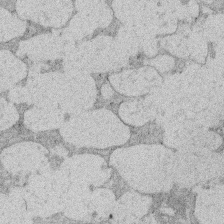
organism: Rat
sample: Salivary granule